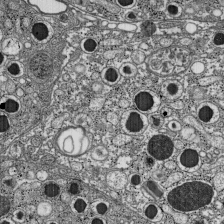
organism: C57BL Mouse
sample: Pancreatic islet